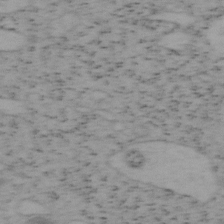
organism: Mouse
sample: OT-I killer T cells with ID8 ovarian cancer cells